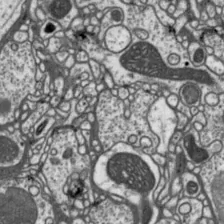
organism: Drosophila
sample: Protocerebral bridge